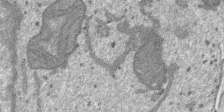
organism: Human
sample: Lung epithelial cells infected with SARS-CoV-2